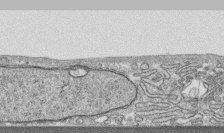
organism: Human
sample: CRL-1474